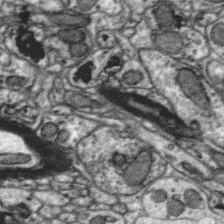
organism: Zebra finch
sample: Brain